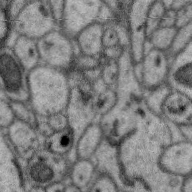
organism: Zebra finch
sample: Brain